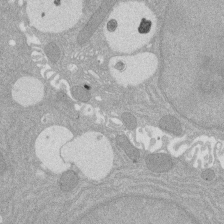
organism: Rat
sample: Salivary granule